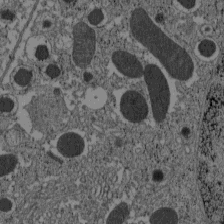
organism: C57BL Mouse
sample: Pancreatic islet